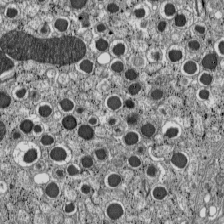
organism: C57BL Mouse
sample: Pancreatic islet